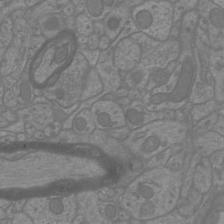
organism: Mouse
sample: Cortical neurons